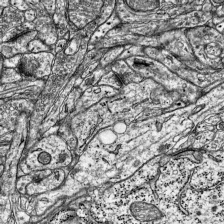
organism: Mouse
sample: Visual Cortex